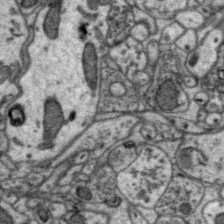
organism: Zebra finch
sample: Brain